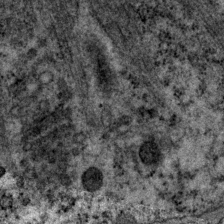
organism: P. pacificus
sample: Pharynx